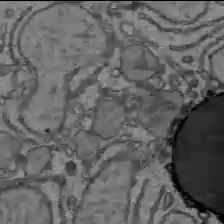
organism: C57BL Mouse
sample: Liver